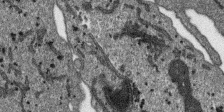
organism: Human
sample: Lung epithelial cells infected with SARS-CoV-2